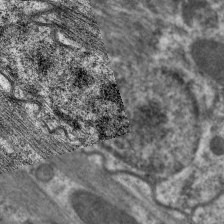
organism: C. elegans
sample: Pharynx